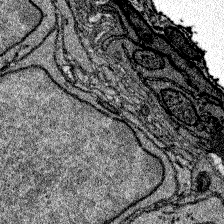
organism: Zebrafish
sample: Larval olfactory bulb